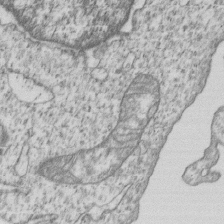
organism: Human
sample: MDA-MB-231 cells